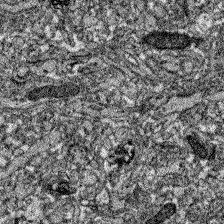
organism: Zebrafish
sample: Larval olfactory bulb